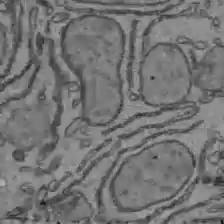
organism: C57BL Mouse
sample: Liver